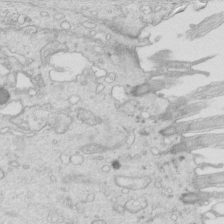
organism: Mouse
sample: Multiciliated cells